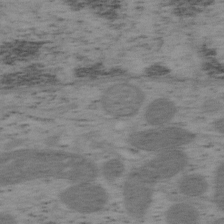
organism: Mouse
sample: OT-I killer T cells with ID8 ovarian cancer cells